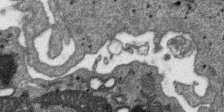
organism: Human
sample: Lung epithelial cells infected with SARS-CoV-2